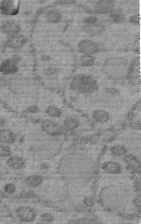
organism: C. elegans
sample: C. elegans embryo early stage